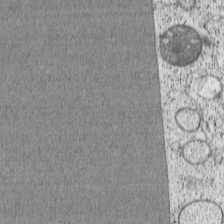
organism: African green monkey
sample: COS-7 cells